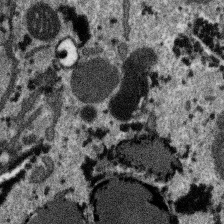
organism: Human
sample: Lung epithelial cells infected with SARS-CoV-2